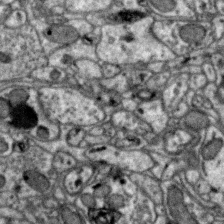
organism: Zebra finch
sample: Brain